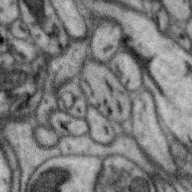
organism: Zebra finch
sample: Brain